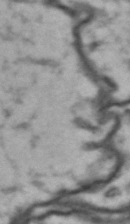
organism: Drosophila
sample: Brain